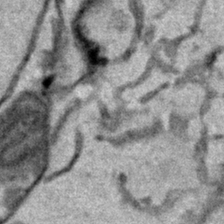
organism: Human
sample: Mitochondria in HCT116 cells